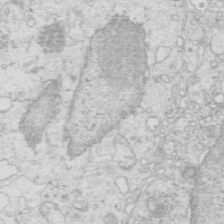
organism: Mouse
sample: Multiciliated cells